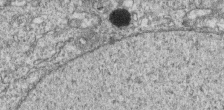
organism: Human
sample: HeLa cell HIV synapse